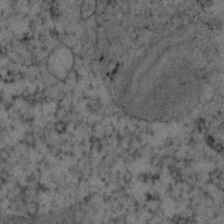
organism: Human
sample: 1205lu cells